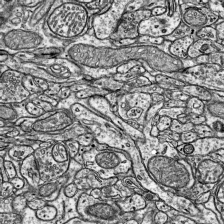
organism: Mouse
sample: Visual Cortex